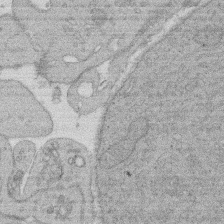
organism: Rat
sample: Salivary granule